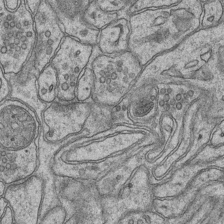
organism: Mouse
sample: CA1 Hippocampus